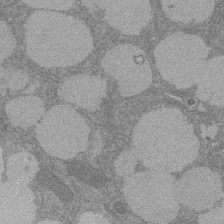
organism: Rat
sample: Salivary granule